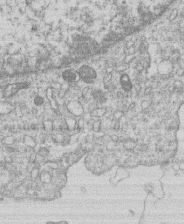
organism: Human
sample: Macrophage cells